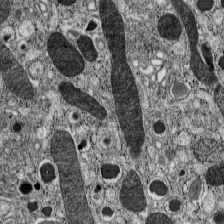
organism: C57BL Mouse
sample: Pancreatic islet